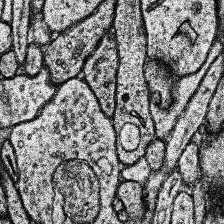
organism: Human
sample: Temporal Lobe